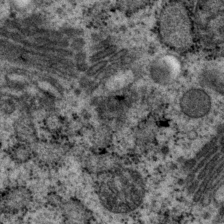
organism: P. pacificus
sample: Pharynx